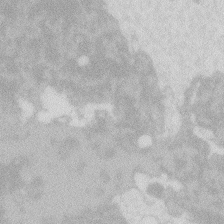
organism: Zebrafish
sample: Macrophage